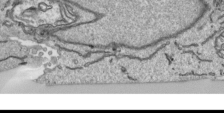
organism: Human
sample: Mitochondria in HCT116 cells